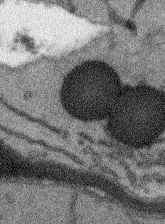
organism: Arabidopsis thaliana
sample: Root tip